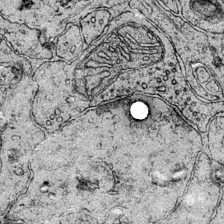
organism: Mouse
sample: Primary visual cortex